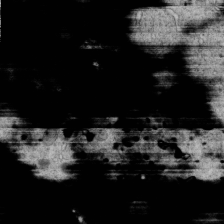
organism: C. elegans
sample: C. elegans embryo early stage